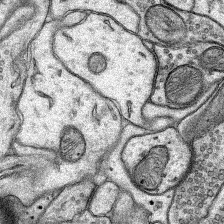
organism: Rat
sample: Hippocampus